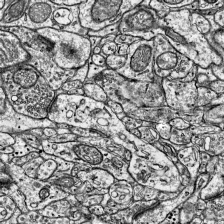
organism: Mouse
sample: Visual Cortex